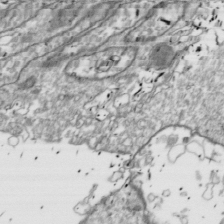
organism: Drosophila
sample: Cell division; meiosis; drosophila spermatocytes